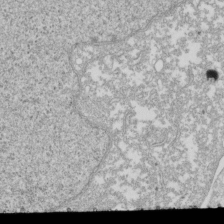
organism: Xenopus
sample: Cilia; centrioles in frog embryo cells